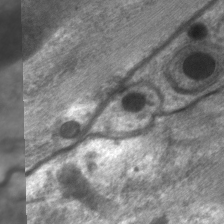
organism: C. elegans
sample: Pharynx